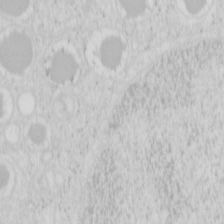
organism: Mouse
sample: Pancreas